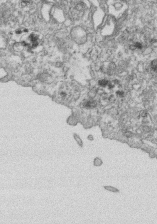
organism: Human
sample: HeLa cell HIV synapse